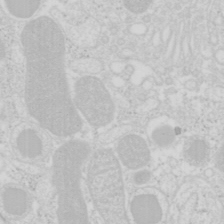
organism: Mouse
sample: Pancreas